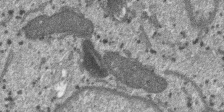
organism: Human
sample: Lung epithelial cells infected with SARS-CoV-2